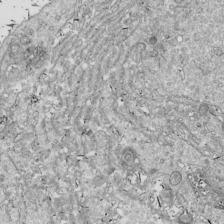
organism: Drosophila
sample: Cell division; meiosis; drosophila spermatocytes